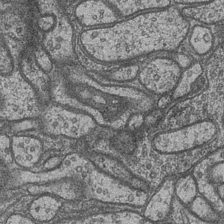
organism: Drosophila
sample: Optic medulla